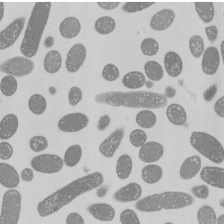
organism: E. coli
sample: Bacterial nucleoid